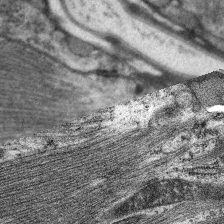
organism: C. elegans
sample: Pharynx